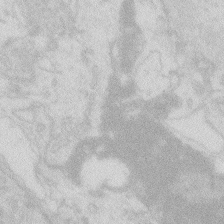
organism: Zebrafish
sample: Macrophage